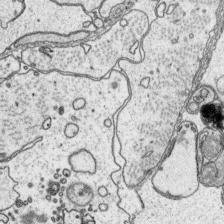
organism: Platynereis dumerilii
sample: Parapodia